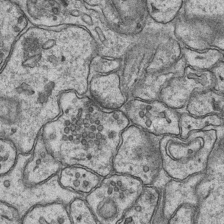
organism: Mouse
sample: CA1 Hippocampus